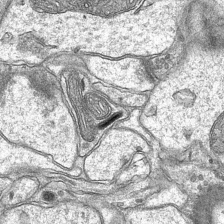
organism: Mouse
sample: CA1 Hippocampus